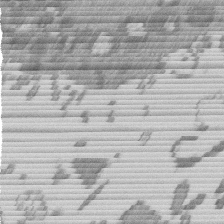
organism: Mouse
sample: Dividing mouse embryo 1 cell stage